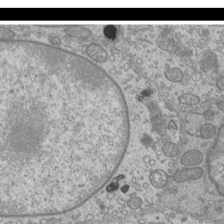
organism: Mouse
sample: Cilia; mouse epididymis